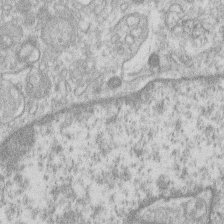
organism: Human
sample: Macrophage cells